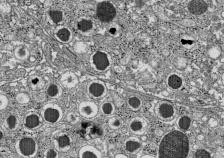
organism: C57BL Mouse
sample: Pancreatic islet